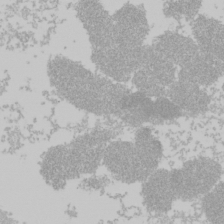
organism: Mouse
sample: Cancer cell death in ED-1 cells